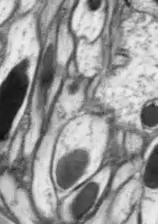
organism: Drosophila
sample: Optic lobe